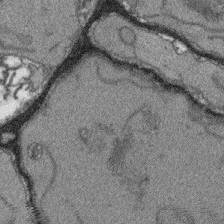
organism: Arabidopsis thaliana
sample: Root tip